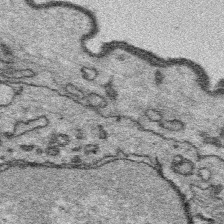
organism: Platynereis dumerilii